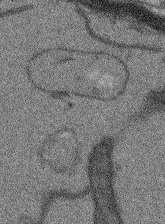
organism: Arabidopsis thaliana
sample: Root tip